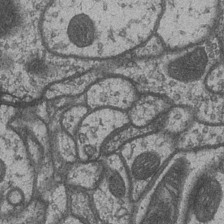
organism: Drosophila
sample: Optic medulla